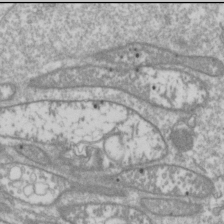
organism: Drosophila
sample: Cell division; meiosis; drosophila spermatocytes